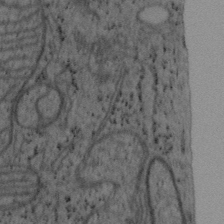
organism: Human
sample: HeLa cells